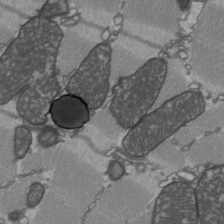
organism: C57BL Mouse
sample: Heart